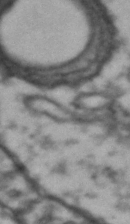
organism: Drosophila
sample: Brain